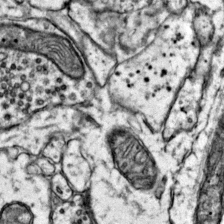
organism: Mouse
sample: Primary visual cortex